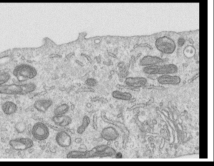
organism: Human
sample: Centriole in RPE cells